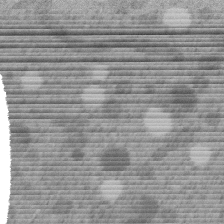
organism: C. elegans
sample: C. elegans embryo early stage